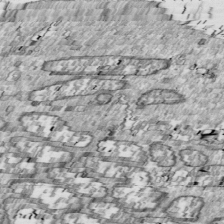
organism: Drosophila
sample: Cell division; meiosis; drosophila spermatocytes